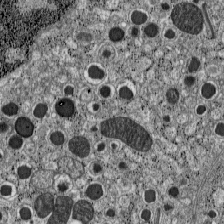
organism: C57BL Mouse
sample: Pancreatic islet